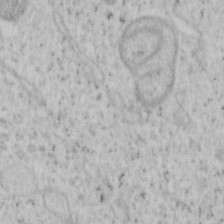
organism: Human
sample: HeLa cells